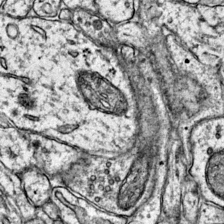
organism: Mouse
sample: Primary visual cortex